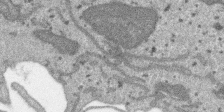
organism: Human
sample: Lung epithelial cells infected with SARS-CoV-2